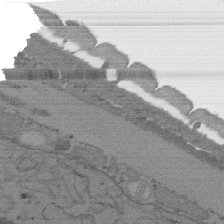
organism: C. elegans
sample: AFD neurons C. elegans